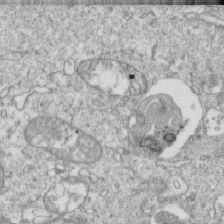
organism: Mouse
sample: Activated OT-1 CD8+ T cells